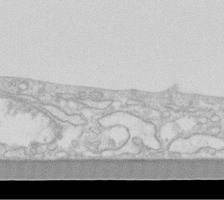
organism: Human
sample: Fibroblast cells